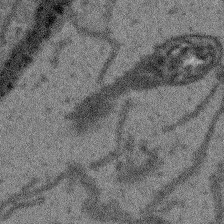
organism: Arabidopsis thaliana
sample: Root tip